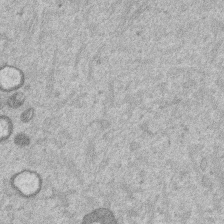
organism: Mouse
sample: Dividing mouse embryo 1 cell stage